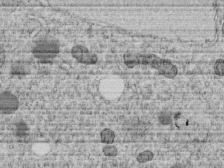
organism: C. elegans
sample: C. elegans embryo early stage